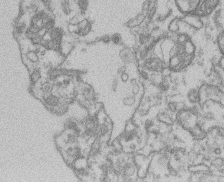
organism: Mouse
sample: T cell stromal cell synapse